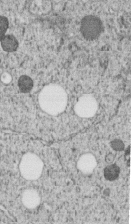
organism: C. elegans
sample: C. elegans embryo early stage